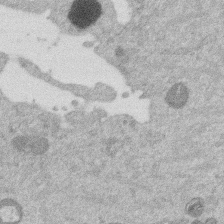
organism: Mouse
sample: Dividing mouse embryo 1 cell stage